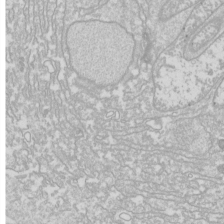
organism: Drosophila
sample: Cell division; meiosis; drosophila spermatocytes